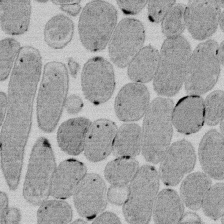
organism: E. coli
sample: Bacterial nucleoid